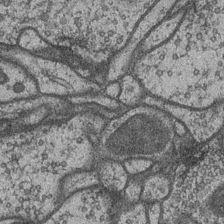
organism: Drosophila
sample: Optic medulla